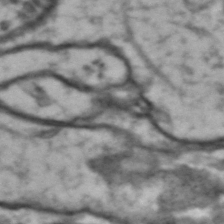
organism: Drosophila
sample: Brain